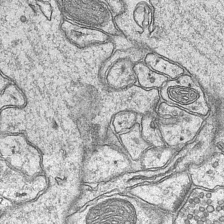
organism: Mouse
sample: CA1 Hippocampus